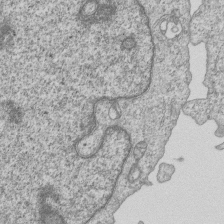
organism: Human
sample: MDA-MB-231 cells